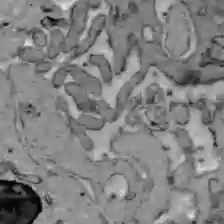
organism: C57BL Mouse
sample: Liver